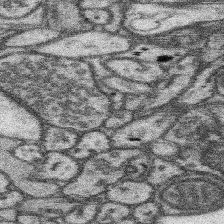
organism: Mouse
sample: Somatosensory cortex neuropil